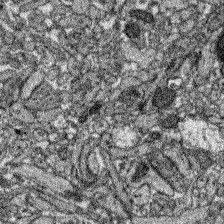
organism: Zebrafish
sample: Larval olfactory bulb